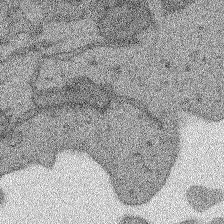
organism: Human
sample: HeLa cells